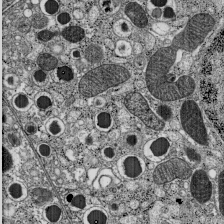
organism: C57BL Mouse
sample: Pancreatic islet